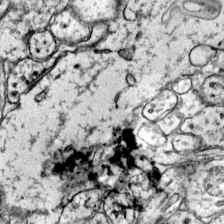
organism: Mouse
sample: Primary visual cortex